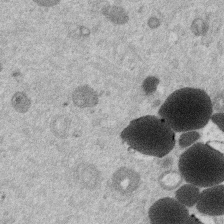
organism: Mouse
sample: Dividing mouse embryo 1 cell stage